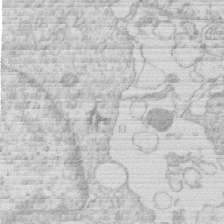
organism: Human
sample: Macrophage cells